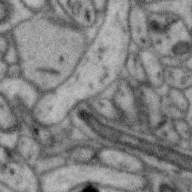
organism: Zebra finch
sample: Brain